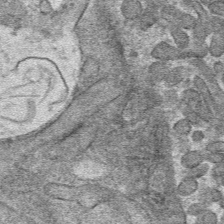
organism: Mouse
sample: Mouse hepatocytes